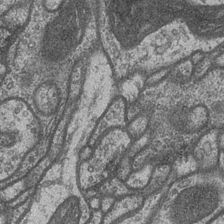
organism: Drosophila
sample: Optic medulla